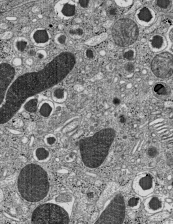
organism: C57BL Mouse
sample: Pancreatic islet